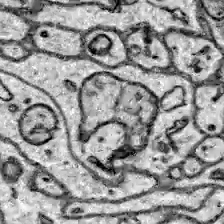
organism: Zebrafish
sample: Brain